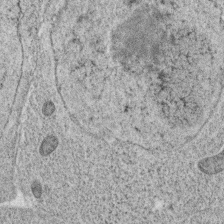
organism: C. elegans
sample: C. elegans oocyte; sperm cells